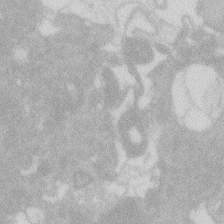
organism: Zebrafish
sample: Macrophage